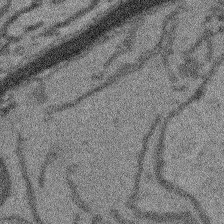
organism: Arabidopsis thaliana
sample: Root tip